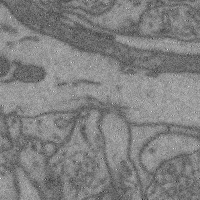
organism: Mouse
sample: Cerebral cortex